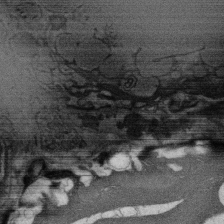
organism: Rat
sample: Salivary granule